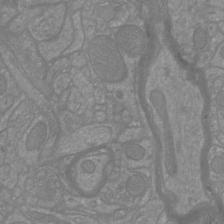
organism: Mouse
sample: Cortical neurons